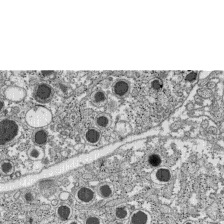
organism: C57BL Mouse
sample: Pancreatic islet